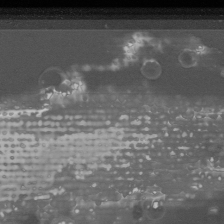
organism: Mouse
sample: Cancer cell death in ED-1 cells